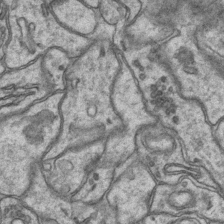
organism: Mouse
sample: CA1 Hippocampus